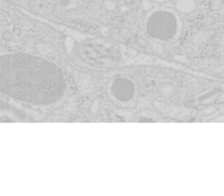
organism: Mouse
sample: Pancreas